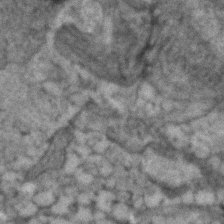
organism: Human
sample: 1205lu cells